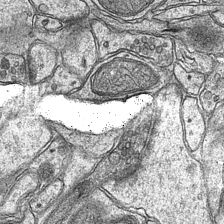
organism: Mouse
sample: CA1 Hippocampus